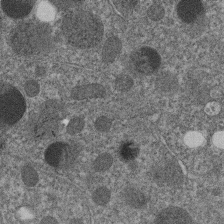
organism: C. elegans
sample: C. elegans embryo early stage